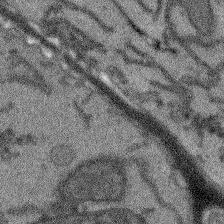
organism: Arabidopsis thaliana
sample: Root tip